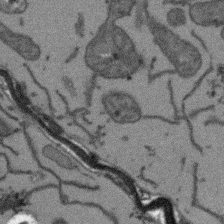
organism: Arabidopsis thaliana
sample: Root tip